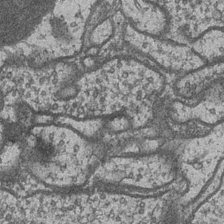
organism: Drosophila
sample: Optic medulla